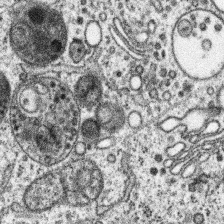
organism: Human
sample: HeLa cells